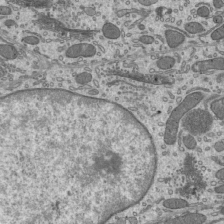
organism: Mouse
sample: Mouse epididymis efferent ductule cilia